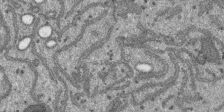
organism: Human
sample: Lung epithelial cells infected with SARS-CoV-2